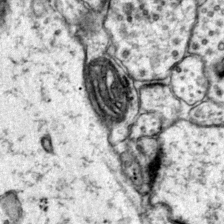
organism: Mouse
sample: Primary visual cortex